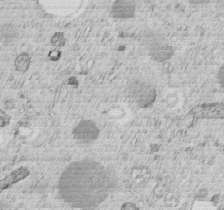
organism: C. elegans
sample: C. elegans embryo early stage